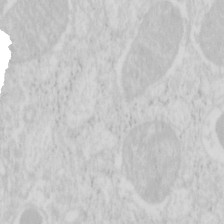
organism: Mouse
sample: Pancreas